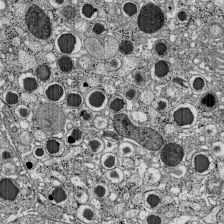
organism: C57BL Mouse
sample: Pancreatic islet